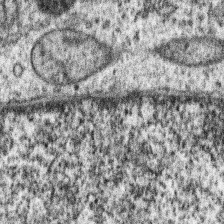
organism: Human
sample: HeLa cells